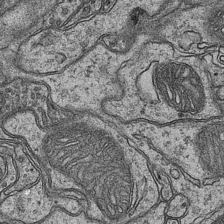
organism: Mouse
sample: CA1 Hippocampus